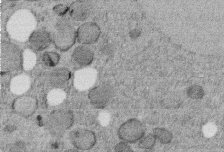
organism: C. elegans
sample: C. elegans embryo early stage